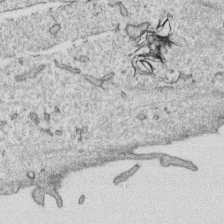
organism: Human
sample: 1205lu cells